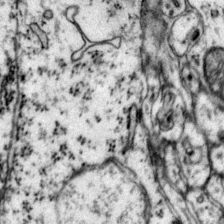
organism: Mouse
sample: Primary visual cortex